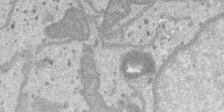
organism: Human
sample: Lung epithelial cells infected with SARS-CoV-2